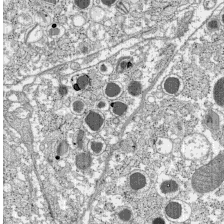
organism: C57BL Mouse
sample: Pancreatic islet